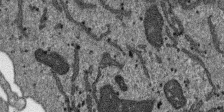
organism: Human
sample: Lung epithelial cells infected with SARS-CoV-2